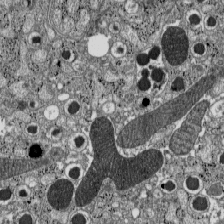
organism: C57BL Mouse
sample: Pancreatic islet